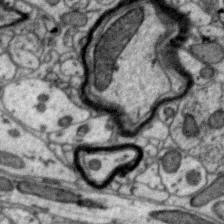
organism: Zebra finch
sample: Brain